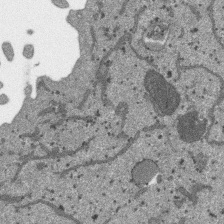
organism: Human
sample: Lung epithelial cells infected with SARS-CoV-2